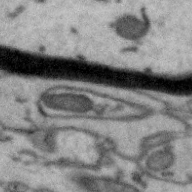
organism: Zebra finch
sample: Brain